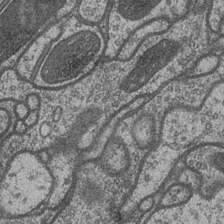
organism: Drosophila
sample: Optic medulla